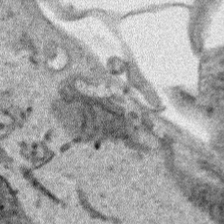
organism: Human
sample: Mitochondria in HCT116 cells